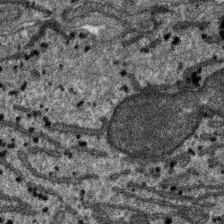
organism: Human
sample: Lung epithelial cells infected with SARS-CoV-2